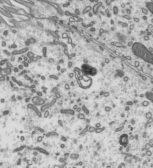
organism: Mouse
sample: Mouse epididymis efferent ductule cilia